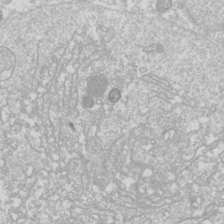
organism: Drosophila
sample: Cell division; meiosis; drosophila spermatocytes